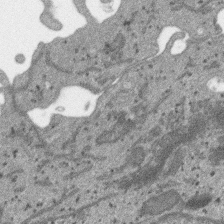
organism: Human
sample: Lung epithelial cells infected with SARS-CoV-2